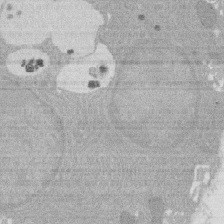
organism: Rat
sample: Salivary granule